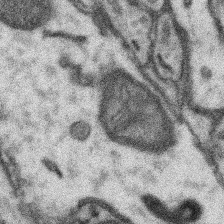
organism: Mouse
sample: Somatosensory cortex neuropil